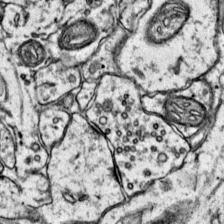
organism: Mouse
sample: Primary visual cortex